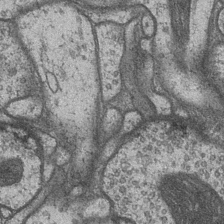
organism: Drosophila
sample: Optic medulla